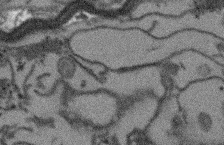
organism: Arabidopsis thaliana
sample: Root tip